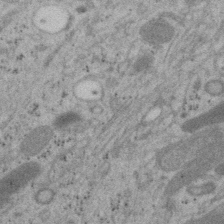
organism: Human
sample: HeLa cells